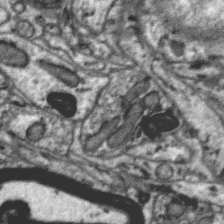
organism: Zebra finch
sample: Brain